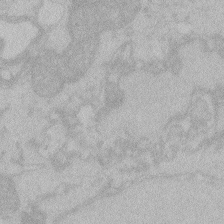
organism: Zebrafish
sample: Macrophage infected with Toxoplasma gondii